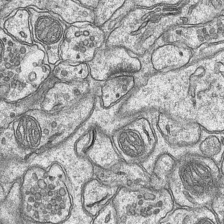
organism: Mouse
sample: CA1 Hippocampus